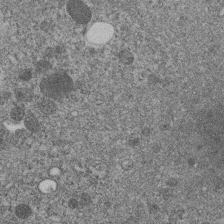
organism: C. elegans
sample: C. elegans embryo early stage